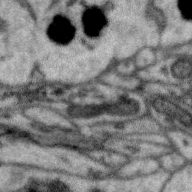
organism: Zebra finch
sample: Brain